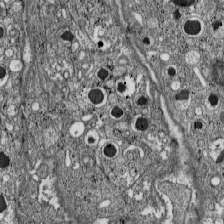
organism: C57BL Mouse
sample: Pancreatic islet